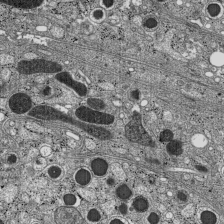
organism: C57BL Mouse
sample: Pancreatic islet